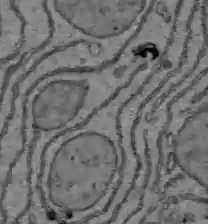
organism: C57BL Mouse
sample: Liver